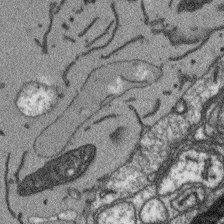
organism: Arabidopsis thaliana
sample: Root tip